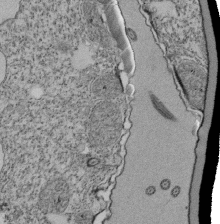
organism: Tetrahymena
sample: Cilia in tetrahymena